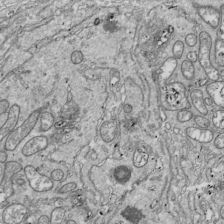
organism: Drosophila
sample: Cell division; meiosis; drosophila spermatocytes